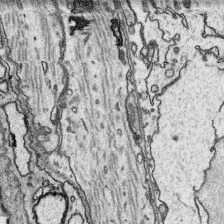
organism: Platynereis dumerilii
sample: Parapodia